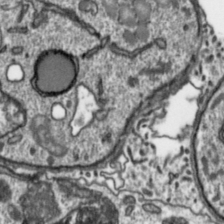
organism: Toxoplasma gondii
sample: Parasites in a vacuole inside a host cell